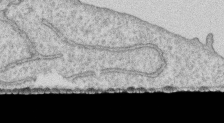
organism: Human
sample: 1205lu cells